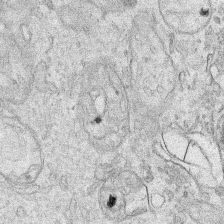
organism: Human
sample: Mitochondria in HCT116 cells